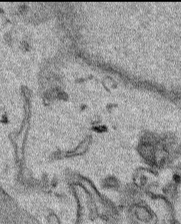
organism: Human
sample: Mitochondria in HCT116 cells